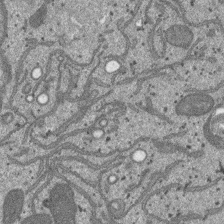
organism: Human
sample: Lung epithelial cells infected with SARS-CoV-2